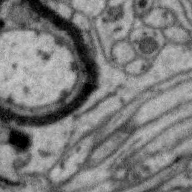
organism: Zebra finch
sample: Brain